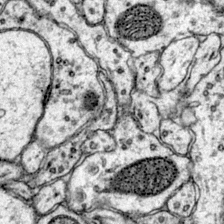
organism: Mouse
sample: Primary visual cortex